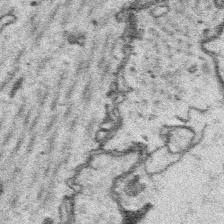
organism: Platynereis dumerilii